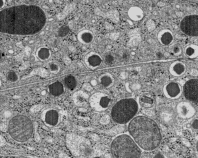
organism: C57BL Mouse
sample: Pancreatic islet